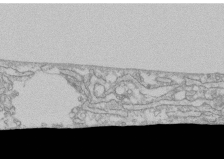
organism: Human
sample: CRL-1474